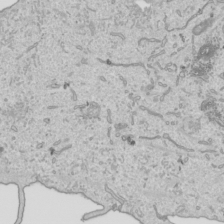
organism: Human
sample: Mitochondria in HCT116 cells